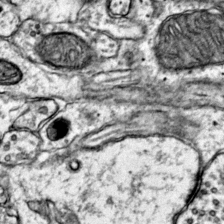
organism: Mouse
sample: Primary visual cortex